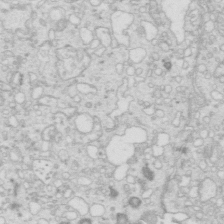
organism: Mouse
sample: Multiciliated cells